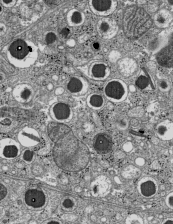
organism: C57BL Mouse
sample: Pancreatic islet